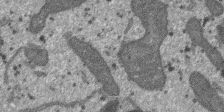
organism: Human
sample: Lung epithelial cells infected with SARS-CoV-2